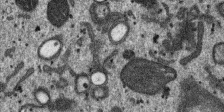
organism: Human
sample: Lung epithelial cells infected with SARS-CoV-2